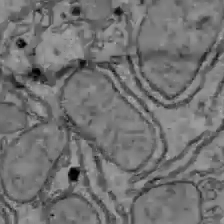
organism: C57BL Mouse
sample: Liver